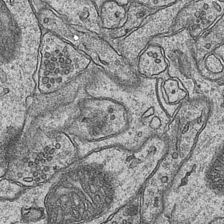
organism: Mouse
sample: CA1 Hippocampus